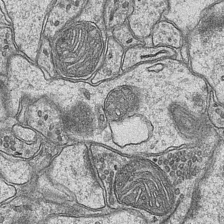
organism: Mouse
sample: CA1 Hippocampus